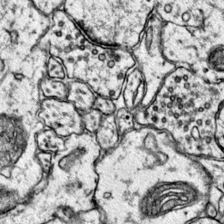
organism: Mouse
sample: Primary visual cortex